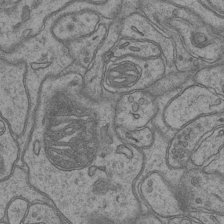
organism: Mouse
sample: CA1 Hippocampus